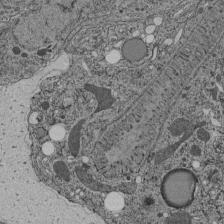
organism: C. elegans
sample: C. elegans pharynx